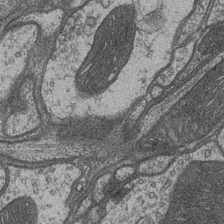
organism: Drosophila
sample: Optic medulla